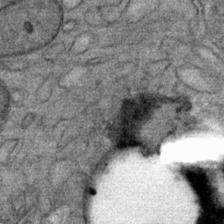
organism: Mouse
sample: Mouse Salivary gland